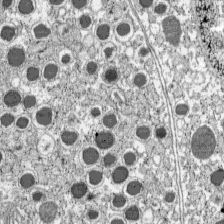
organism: C57BL Mouse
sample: Pancreatic islet